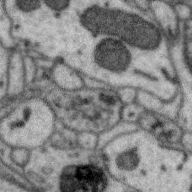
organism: Zebra finch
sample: Brain